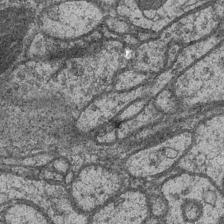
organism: Drosophila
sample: Optic medulla